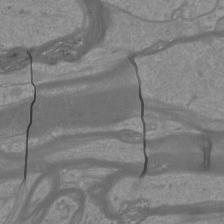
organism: Mouse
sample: Cortical neurons